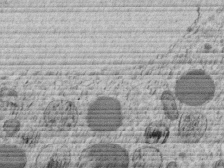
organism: C. elegans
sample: C. elegans embryo early stage